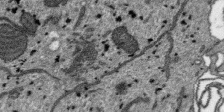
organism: Human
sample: Lung epithelial cells, uninfected (mock) control